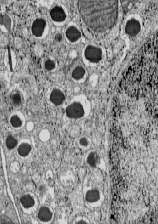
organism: C57BL Mouse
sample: Pancreatic islet